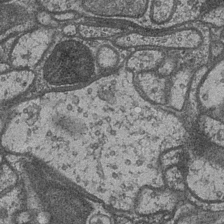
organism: Drosophila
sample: Optic medulla